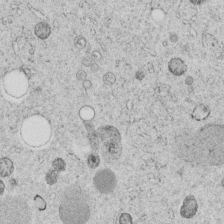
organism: C. elegans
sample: C. elegans embryo early stage